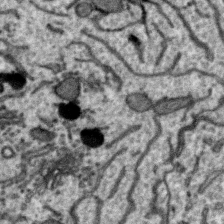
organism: Zebra finch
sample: Brain